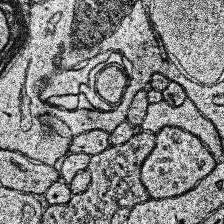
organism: Human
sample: Temporal Lobe